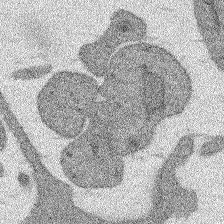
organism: Human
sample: HeLa cells